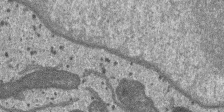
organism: Human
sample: Lung epithelial cells infected with SARS-CoV-2